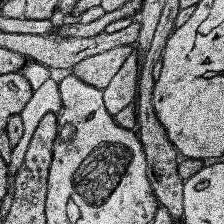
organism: Human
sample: Temporal Lobe